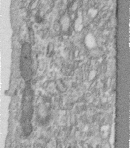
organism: Human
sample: Centriole in fibroblast cells